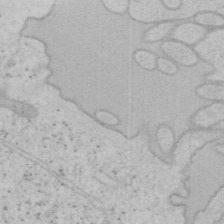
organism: Human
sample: HeLa cells